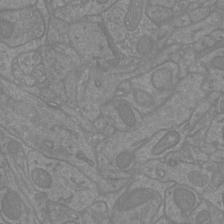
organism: Mouse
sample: Cortical neurons